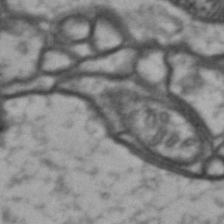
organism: Drosophila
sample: Brain